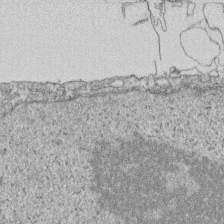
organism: Human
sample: HeLa cell HIV synapse